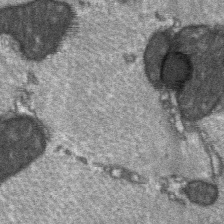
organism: C57BL Mouse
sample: Soleus